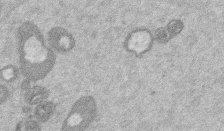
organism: Mouse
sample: Dividing mouse embryo 1 cell stage